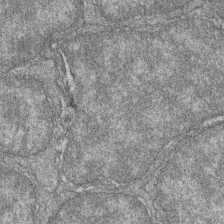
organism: Zebrafish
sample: Cilia; retinal pigment epithelium